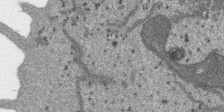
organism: Human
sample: Lung epithelial cells infected with SARS-CoV-2